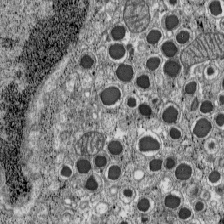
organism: C57BL Mouse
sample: Pancreatic islet